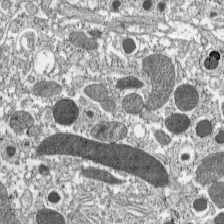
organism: C57BL Mouse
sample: Pancreatic islet